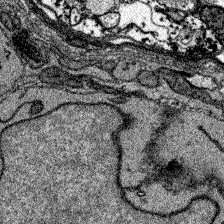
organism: Zebrafish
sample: Larval olfactory bulb